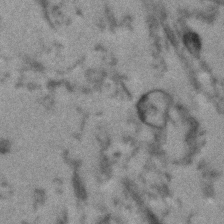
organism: Human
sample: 1205lu cells